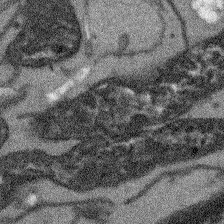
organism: Arabidopsis thaliana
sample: Root tip